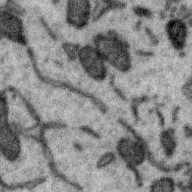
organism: Zebra finch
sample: Brain